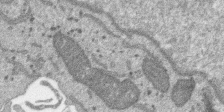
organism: Human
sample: Lung epithelial cells infected with SARS-CoV-2